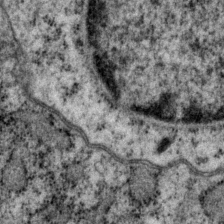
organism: P. pacificus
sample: Pharynx